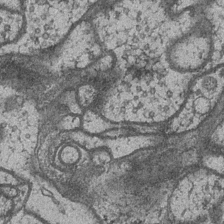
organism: Drosophila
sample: Optic medulla